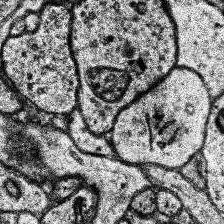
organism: Human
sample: Temporal Lobe